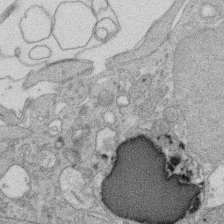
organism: Rat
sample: Salivary granule